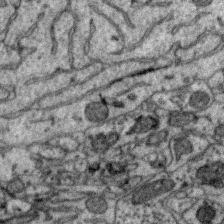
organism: Zebra finch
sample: Brain